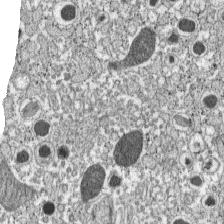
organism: C57BL Mouse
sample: Pancreatic islet